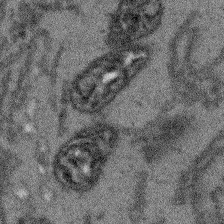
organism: Arabidopsis thaliana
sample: Root tip